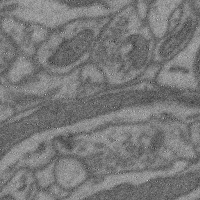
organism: Mouse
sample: Cerebral cortex